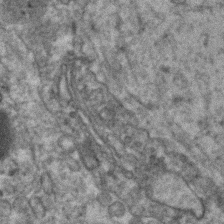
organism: Human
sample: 1205lu cells